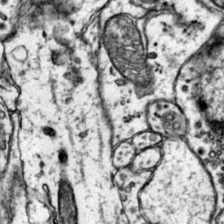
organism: Mouse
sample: Primary visual cortex